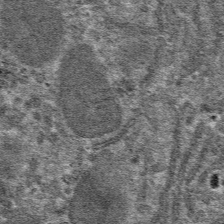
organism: Mouse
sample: Mouse hepatocytes